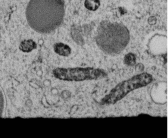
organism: C. elegans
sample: C. elegans embryo early stage